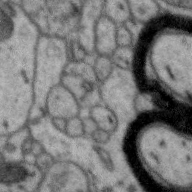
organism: Zebra finch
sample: Brain